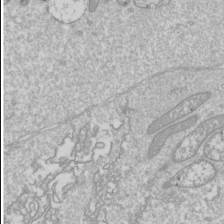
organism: Drosophila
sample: Cell division; meiosis; drosophila spermatocytes